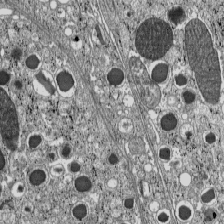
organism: C57BL Mouse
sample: Pancreatic islet